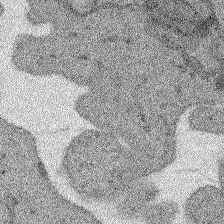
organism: Human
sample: HeLa cells